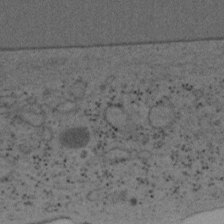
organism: Human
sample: HeLa cells